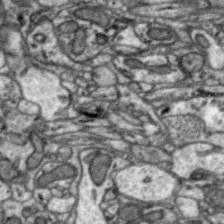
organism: Zebra finch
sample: Brain